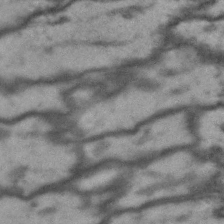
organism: Drosophila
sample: Brain